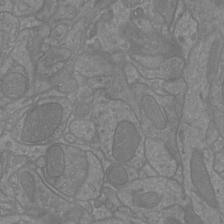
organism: Mouse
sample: Cortical neurons